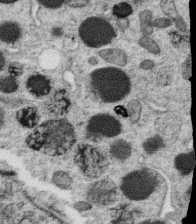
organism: C. elegans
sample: C. elegans oocyte; sperm cells